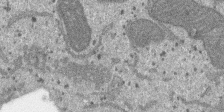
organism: Human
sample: Lung epithelial cells infected with SARS-CoV-2